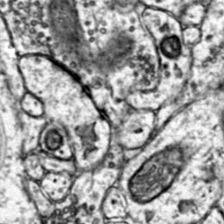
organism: Mouse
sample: Primary visual cortex